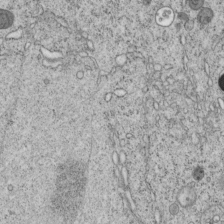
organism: C. elegans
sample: C. elegans embryo early stage